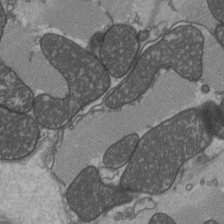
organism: C57BL Mouse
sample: Heart